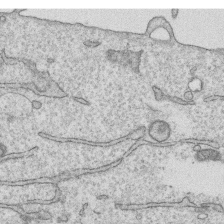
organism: Human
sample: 1205lu cells